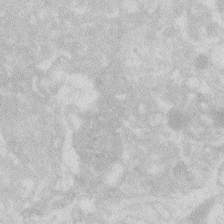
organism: Zebrafish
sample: Macrophage